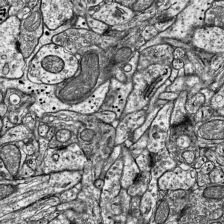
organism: Mouse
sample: Visual Cortex